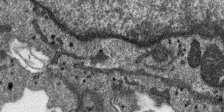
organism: Human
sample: Lung epithelial cells infected with SARS-CoV-2